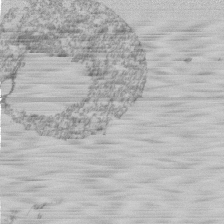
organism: Mouse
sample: Activated Pmel transgenic CD8+ T Cells